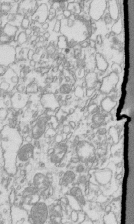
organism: Mouse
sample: Macrophages